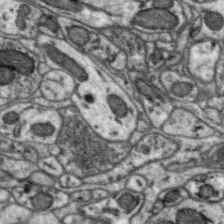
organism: Zebra finch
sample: Brain